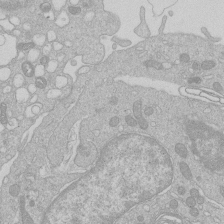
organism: Human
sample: Macrophage cells